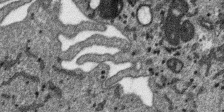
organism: Human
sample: Lung epithelial cells infected with SARS-CoV-2